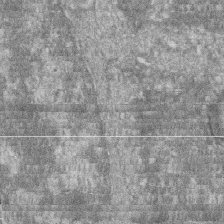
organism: Zebrafish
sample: Cilia; retinal pigment epithelium